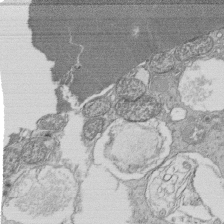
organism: Tetrahymena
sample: Cilia in tetrahymena